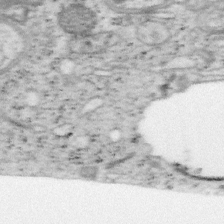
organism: Mouse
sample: OT-I killer T cells with ID8 ovarian cancer cells